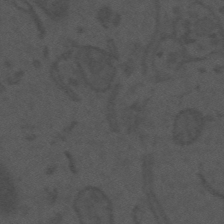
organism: Mouse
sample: Suprachiasmatic nucleus